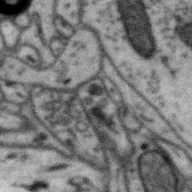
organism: Zebra finch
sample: Brain